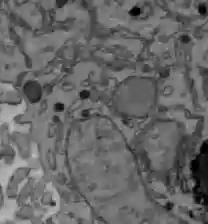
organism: C57BL Mouse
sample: Liver